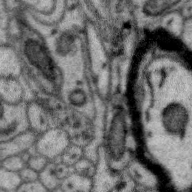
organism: Zebra finch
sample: Brain